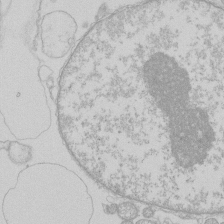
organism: Human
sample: Macrophage cells